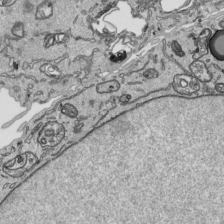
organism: Human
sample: Mitochondria in HCT116 cells